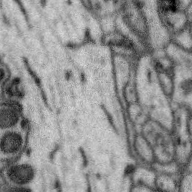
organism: Zebra finch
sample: Brain